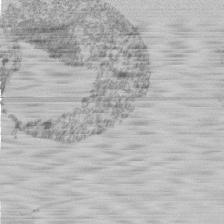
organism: Mouse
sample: Activated Pmel transgenic CD8+ T Cells